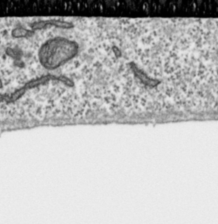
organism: Toxoplasma gondii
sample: Parasites in a vacuole inside a host cell